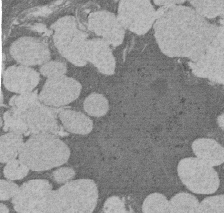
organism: Rat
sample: Salivary granule